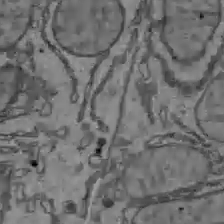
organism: C57BL Mouse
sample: Liver